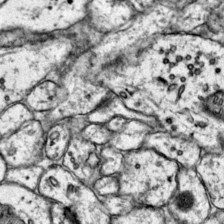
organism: Mouse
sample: Primary visual cortex